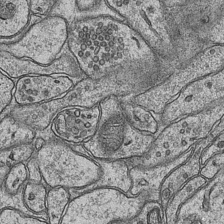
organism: Mouse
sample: CA1 Hippocampus